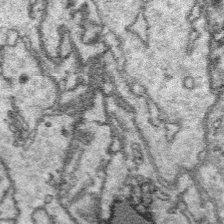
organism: Platynereis dumerilii